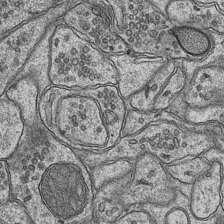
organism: Mouse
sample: CA1 Hippocampus